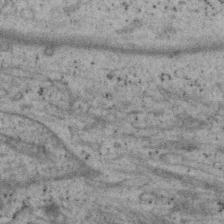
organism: Human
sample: HeLa cells